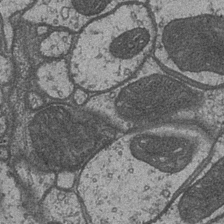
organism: Drosophila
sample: Optic medulla